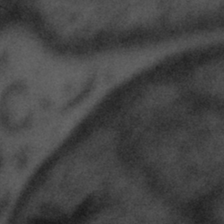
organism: Tuwongella immobilis